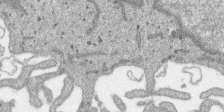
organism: Human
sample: Lung epithelial cells infected with SARS-CoV-2